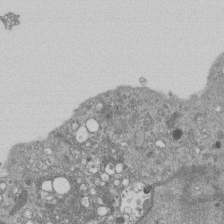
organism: Mouse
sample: ED-1 cell nuclei; centrioles